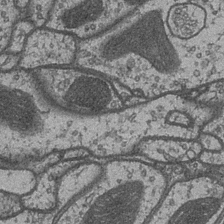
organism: Drosophila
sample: Optic medulla